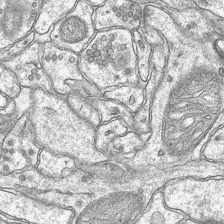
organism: Mouse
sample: CA1 Hippocampus